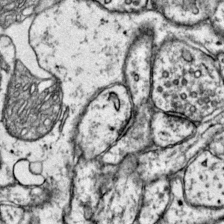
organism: Mouse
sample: Primary visual cortex